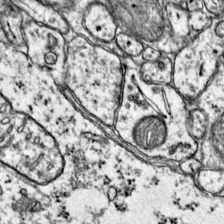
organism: Mouse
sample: Primary visual cortex